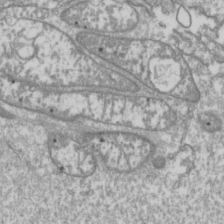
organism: Drosophila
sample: Cell division; meiosis; drosophila spermatocytes